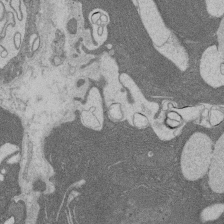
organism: Rat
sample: Salivary granule